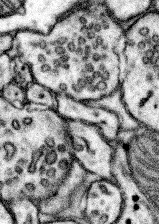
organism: Mouse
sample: Somatosensory cortex neuropil